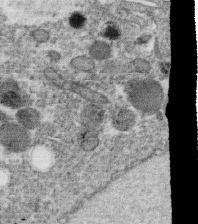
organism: C. elegans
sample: C. elegans oocyte; sperm cells